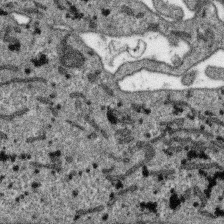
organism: Human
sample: Lung epithelial cells infected with SARS-CoV-2